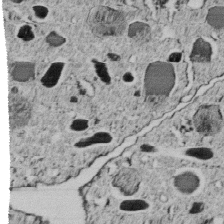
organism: C. elegans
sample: C. elegans embryo early stage